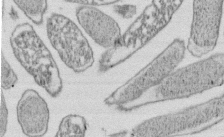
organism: E. coli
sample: Bacterial nucleoid